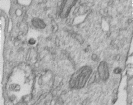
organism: Human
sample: Centriole in RPE cells